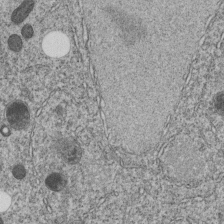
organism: C. elegans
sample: C. elegans embryo early stage